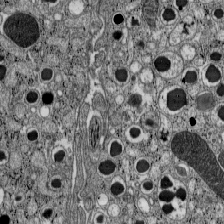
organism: C57BL Mouse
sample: Pancreatic islet